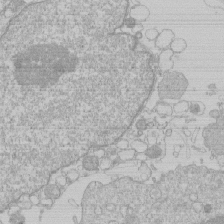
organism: Human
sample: Macrophage cells